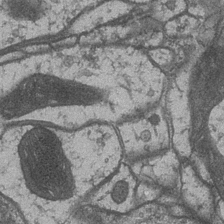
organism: Drosophila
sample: Optic medulla